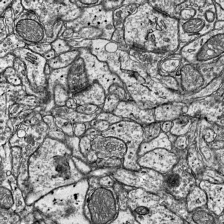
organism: Mouse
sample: Visual Cortex